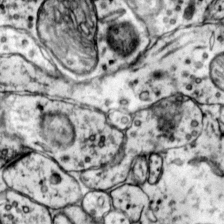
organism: Mouse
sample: Primary visual cortex